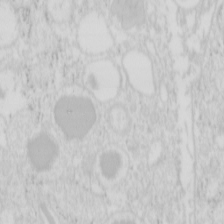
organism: Mouse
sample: Pancreas